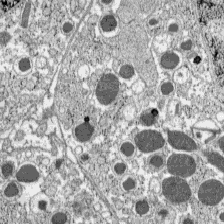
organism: C57BL Mouse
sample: Pancreatic islet